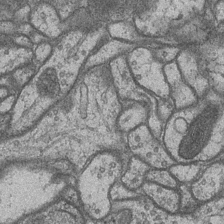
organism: Drosophila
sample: Optic medulla